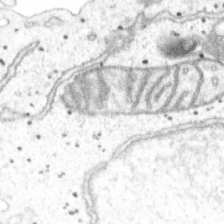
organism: Human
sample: HeLa cells